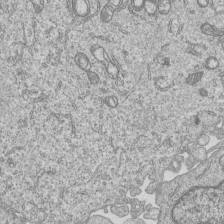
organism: Human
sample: MDA-MB-231 cells